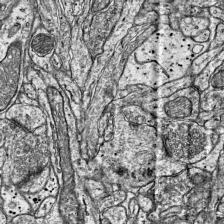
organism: Mouse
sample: Visual Cortex